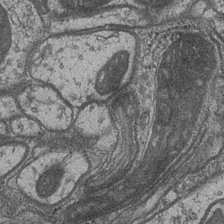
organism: Drosophila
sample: Optic medulla